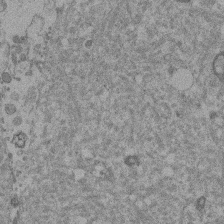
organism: Mouse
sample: Dividing mouse embryo 1 cell stage